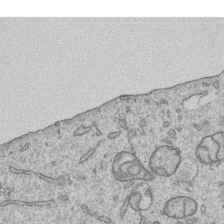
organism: Human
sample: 1205lu cells